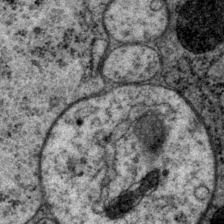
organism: P. pacificus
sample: Pharynx